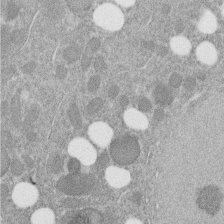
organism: C. elegans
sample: C. elegans embryo early stage